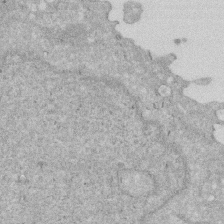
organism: Human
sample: HIV infected U937 cells